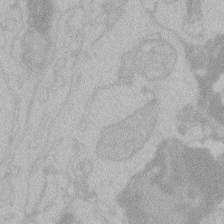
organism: Zebrafish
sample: Macrophage infected with Toxoplasma gondii